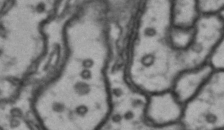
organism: Drosophila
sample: Brain